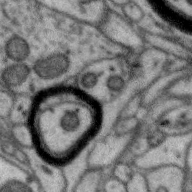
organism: Zebra finch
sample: Brain